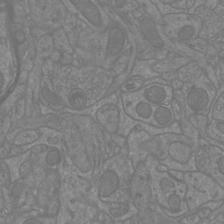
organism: Mouse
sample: Cortical neurons